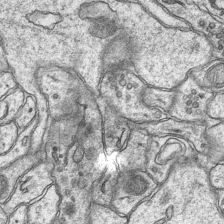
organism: Mouse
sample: CA1 Hippocampus